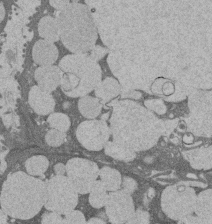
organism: Rat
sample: Salivary granule